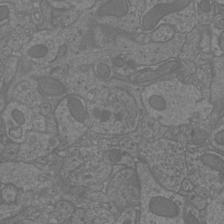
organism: Mouse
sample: Cortical neurons